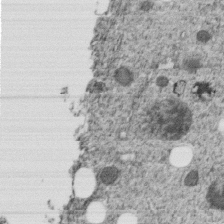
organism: C. elegans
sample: C. elegans embryo early stage